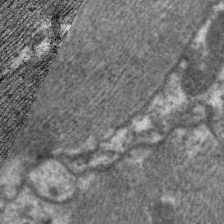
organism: C. elegans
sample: Pharynx